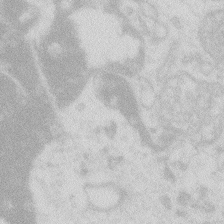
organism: Zebrafish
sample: Macrophage